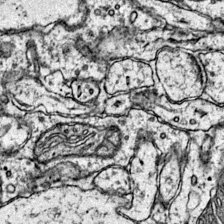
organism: Mouse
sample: Primary visual cortex